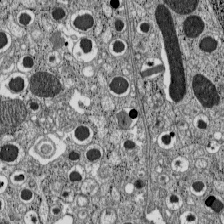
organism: C57BL Mouse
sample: Pancreatic islet